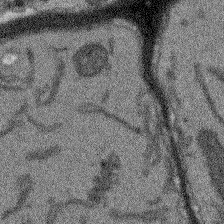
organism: Arabidopsis thaliana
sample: Root tip